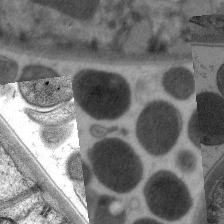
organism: C. elegans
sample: Pharynx